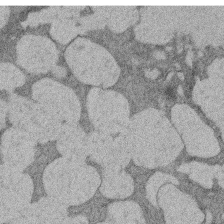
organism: Rat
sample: Salivary granule